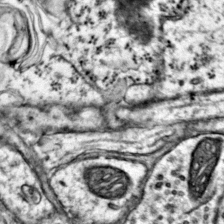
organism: Mouse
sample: Primary visual cortex